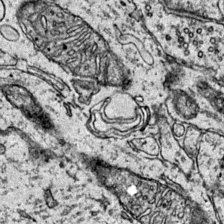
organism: Mouse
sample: Primary visual cortex